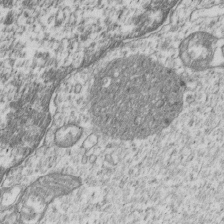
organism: Human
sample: MDA-MB-231 cells